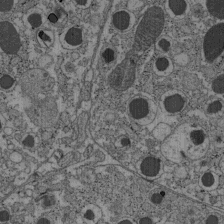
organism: C57BL Mouse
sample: Pancreatic islet